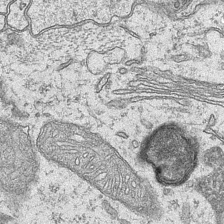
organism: Mouse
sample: CA1 Hippocampus